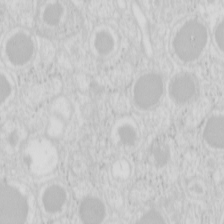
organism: Mouse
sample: Pancreas